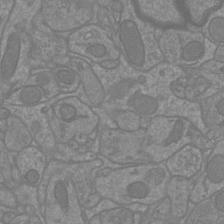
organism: Mouse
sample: Cortical neurons